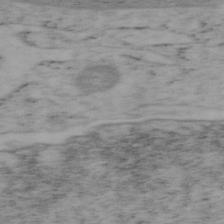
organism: Mouse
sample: OT-I killer T cells with ID8 ovarian cancer cells